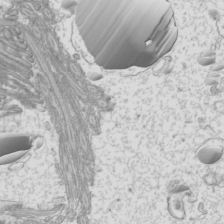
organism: Mouse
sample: Cilia; mouse epididymis